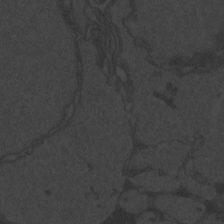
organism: Zebrafish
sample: Macrophage infected with Toxoplasma gondii